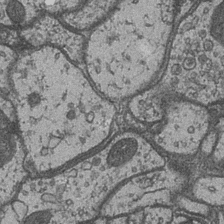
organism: Drosophila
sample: Optic medulla